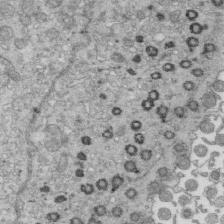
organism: Mouse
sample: Multiciliated cells